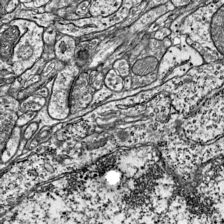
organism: Mouse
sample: Visual Cortex